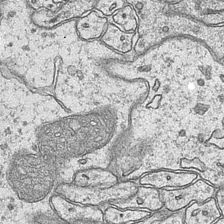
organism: Mouse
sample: CA1 Hippocampus